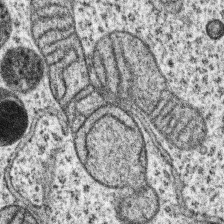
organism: Human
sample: HeLa cells